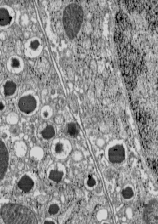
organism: C57BL Mouse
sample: Pancreatic islet